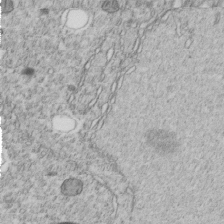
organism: C. elegans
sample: C. elegans embryo early stage